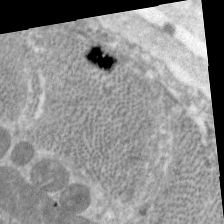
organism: C. elegans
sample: Pharynx